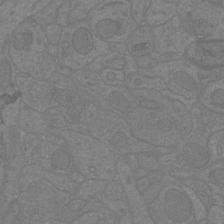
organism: Mouse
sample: Cortical neurons